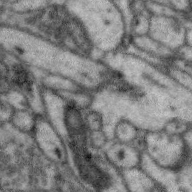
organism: Zebra finch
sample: Brain